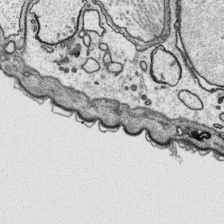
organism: Platynereis dumerilii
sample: Parapodia